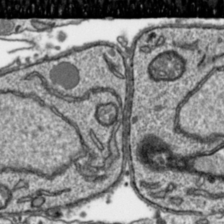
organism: Toxoplasma gondii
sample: Parasites in a vacuole inside a host cell